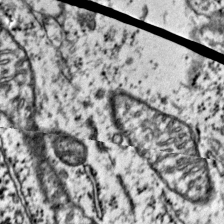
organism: Mouse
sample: Primary visual cortex